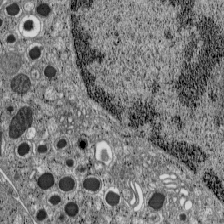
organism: C57BL Mouse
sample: Pancreatic islet